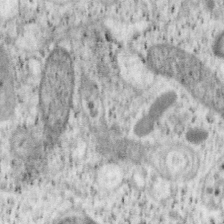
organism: Mouse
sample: OT-I killer T cells with ID8 ovarian cancer cells